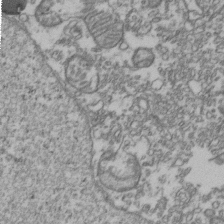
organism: Human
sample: Activated Jurkat CD4+ T cells